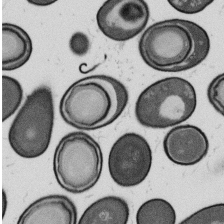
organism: B. subtilis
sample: Bacterial spore